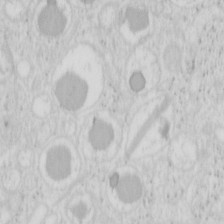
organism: Mouse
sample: Pancreas